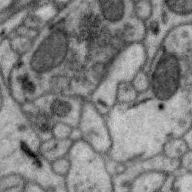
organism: Zebra finch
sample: Brain